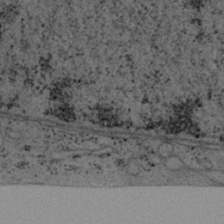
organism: Human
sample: HeLa cells